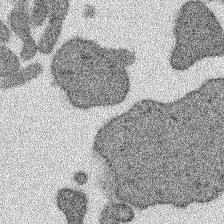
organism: Human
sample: HeLa cells